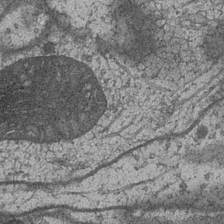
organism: Drosophila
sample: Optic medulla